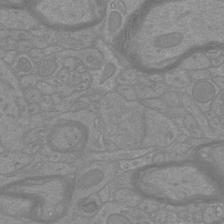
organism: Mouse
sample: Cortical neurons